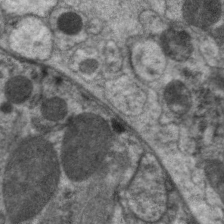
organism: C. elegans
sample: Pharynx